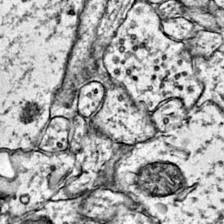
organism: Mouse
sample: Primary visual cortex